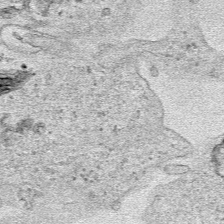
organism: Human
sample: Mitochondria in HCT116 cells